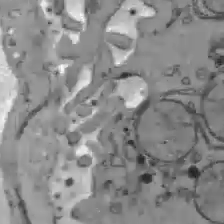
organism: C57BL Mouse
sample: Liver